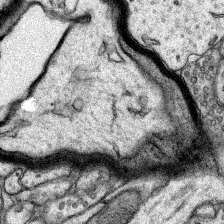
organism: Rat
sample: Hippocampus